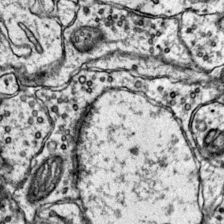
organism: Mouse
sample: Primary visual cortex